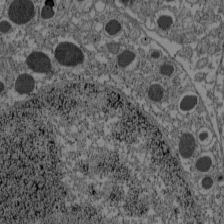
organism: C57BL Mouse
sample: Pancreatic islet